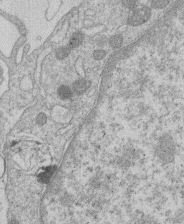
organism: Human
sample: Macrophage cells